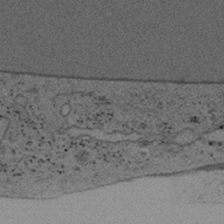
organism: Human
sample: HeLa cells